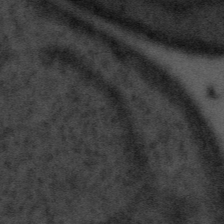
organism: Tuwongella immobilis